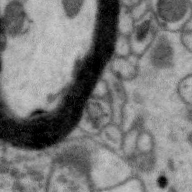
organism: Zebra finch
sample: Brain